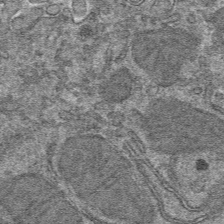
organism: Mouse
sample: Mouse hepatocytes